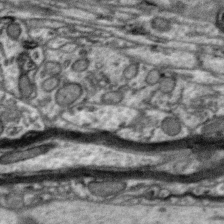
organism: Zebra finch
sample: Brain